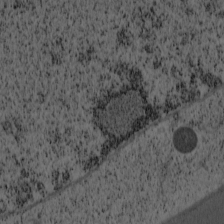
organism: African green monkey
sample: COS-7 cells